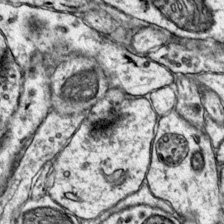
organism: Mouse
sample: Primary visual cortex